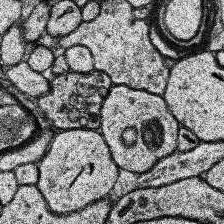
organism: Human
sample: Temporal Lobe